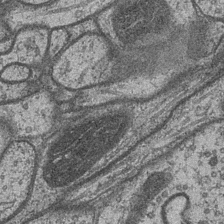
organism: Drosophila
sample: Optic medulla